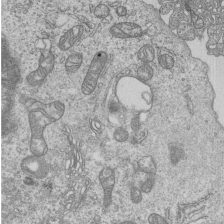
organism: Human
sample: MDA-MB-231 cells